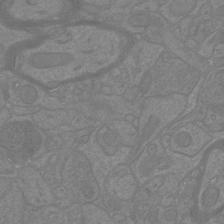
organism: Mouse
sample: Cortical neurons